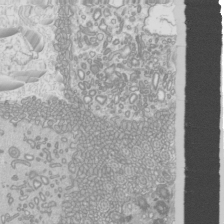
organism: Mouse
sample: Cilia; mouse epididymis